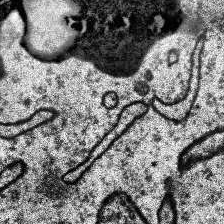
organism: Human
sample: Temporal Lobe